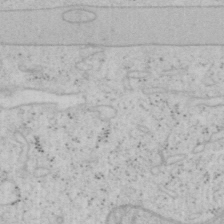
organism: Human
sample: HeLa cells